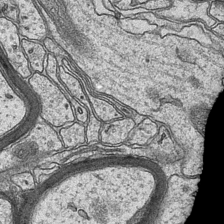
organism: Mouse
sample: CA1 Hippocampus